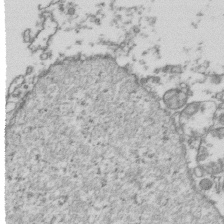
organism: Human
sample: Activated Jurkat CD4+ T cells